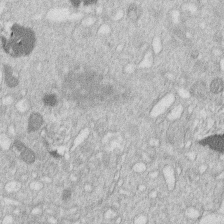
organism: Human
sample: Macrophage cells